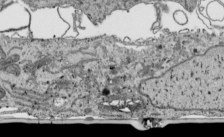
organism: Human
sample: Mitochondria in HCT116 cells